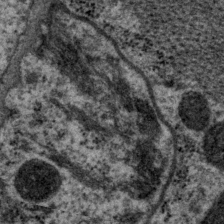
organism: P. pacificus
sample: Pharynx